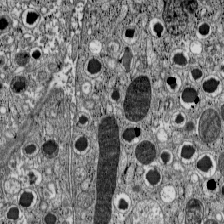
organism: C57BL Mouse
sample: Pancreatic islet